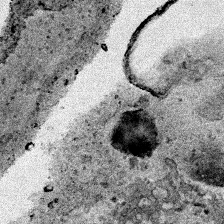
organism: Human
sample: Mitochondria in HCT116 cells